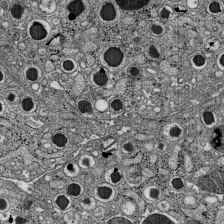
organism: C57BL Mouse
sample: Pancreatic islet